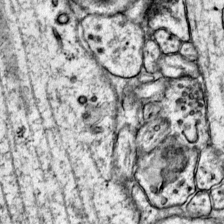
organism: Mouse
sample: Primary visual cortex